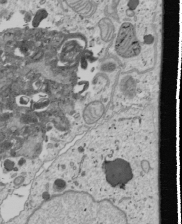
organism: Human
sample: Mitochondria in U2OS cells